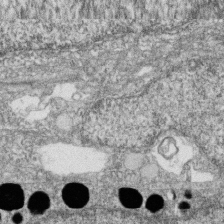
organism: Zebrafish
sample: Cilia; retinal pigment epithelium